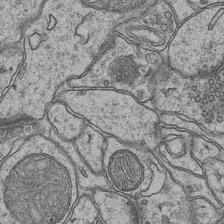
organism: Mouse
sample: CA1 Hippocampus